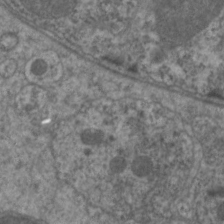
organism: C. elegans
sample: Pharynx